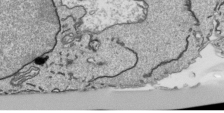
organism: Human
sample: Mitochondria in HCT116 cells